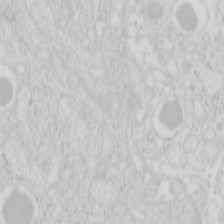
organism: Mouse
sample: Pancreas